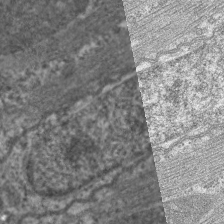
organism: C. elegans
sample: Pharynx